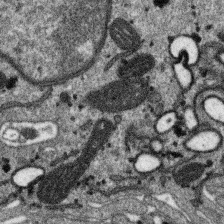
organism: Human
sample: Lung epithelial cells infected with SARS-CoV-2